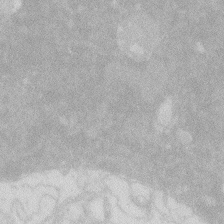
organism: Zebrafish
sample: Macrophage